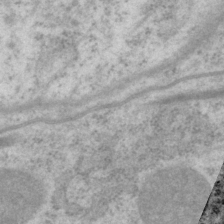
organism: P. pacificus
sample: Pharynx